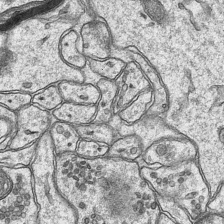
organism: Mouse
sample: CA1 Hippocampus